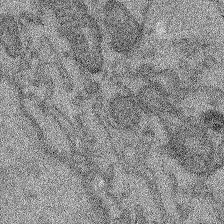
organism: Human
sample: HeLa cells